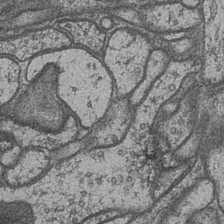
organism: Drosophila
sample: Optic medulla